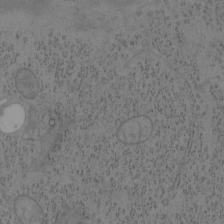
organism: Mouse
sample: OT-I killer T cells with ID8 ovarian cancer cells